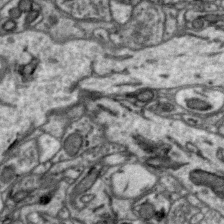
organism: Zebra finch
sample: Brain